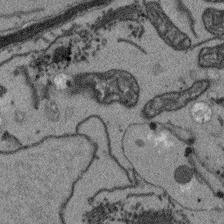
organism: Arabidopsis thaliana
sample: Root tip